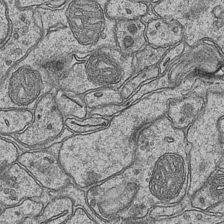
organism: Mouse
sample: CA1 Hippocampus